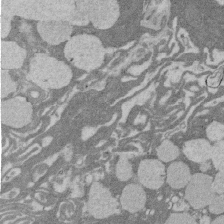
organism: Rat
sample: Salivary granule